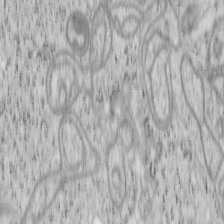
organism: Human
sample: HeLa cells